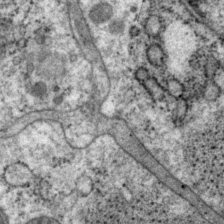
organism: P. pacificus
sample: Pharynx